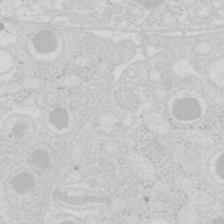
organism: Mouse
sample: Pancreas